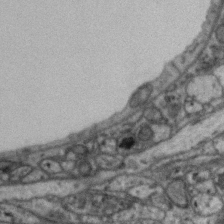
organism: Zebra finch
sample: Brain